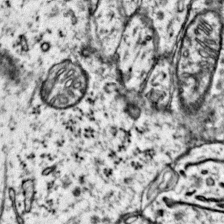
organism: Mouse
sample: Primary visual cortex